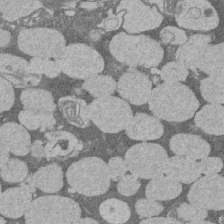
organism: Rat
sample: Salivary granule